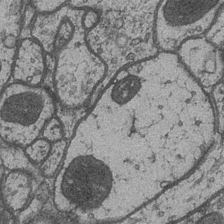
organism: Drosophila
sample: Optic medulla